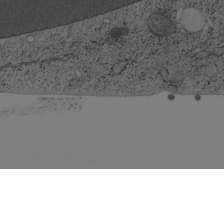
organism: African green monkey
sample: COS-7 cells